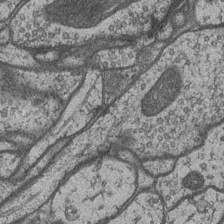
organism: Drosophila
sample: Optic medulla